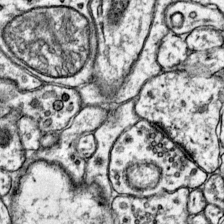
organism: Mouse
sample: Primary visual cortex